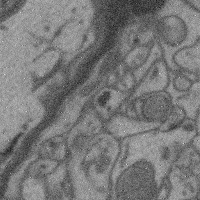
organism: Mouse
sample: Cerebral cortex